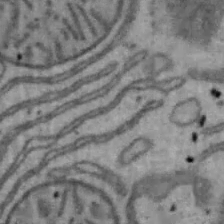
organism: Mouse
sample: Liver